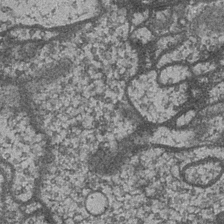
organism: Drosophila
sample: Optic medulla